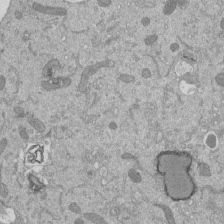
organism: Mouse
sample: ED-1 cell nuclei; centrioles